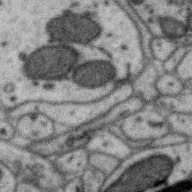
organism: Zebra finch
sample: Brain